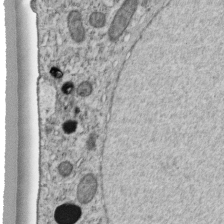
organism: C. elegans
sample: C. elegans embryo early stage